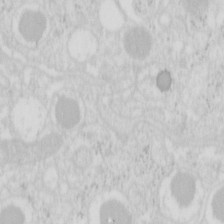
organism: Mouse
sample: Pancreas